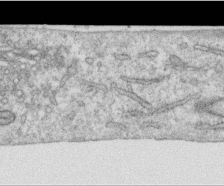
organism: Human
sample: Centriole in RPE cells